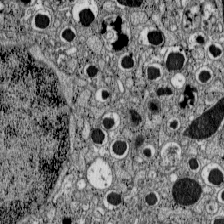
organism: C57BL Mouse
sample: Pancreatic islet